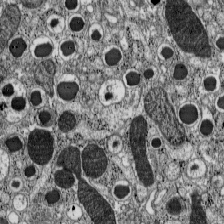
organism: C57BL Mouse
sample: Pancreatic islet